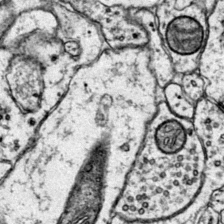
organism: Mouse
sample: Primary visual cortex